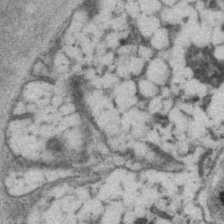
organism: P. pacificus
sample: Pharynx